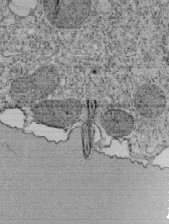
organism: Tetrahymena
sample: Cilia in tetrahymena